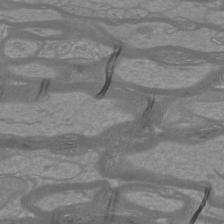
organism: Mouse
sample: Cortical neurons